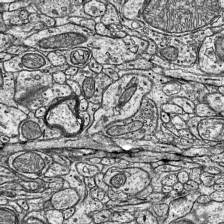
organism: Mouse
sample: Visual Cortex